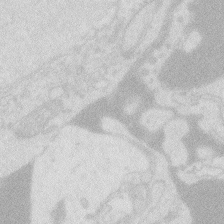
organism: Zebrafish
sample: Macrophage